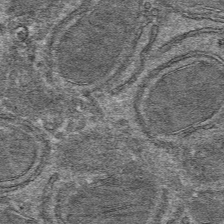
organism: Mouse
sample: Mouse hepatocytes